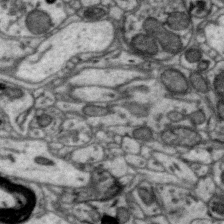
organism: Zebra finch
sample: Brain